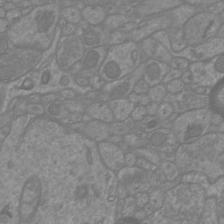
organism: Mouse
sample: Cortical neurons